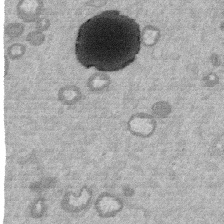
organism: Mouse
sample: Dividing mouse embryo 1 cell stage